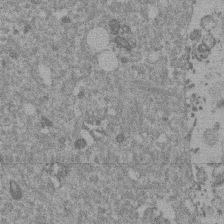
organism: Mouse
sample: Dividing mouse embryo 1 cell stage